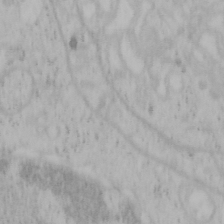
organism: Mouse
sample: OT-I killer T cells with ID8 ovarian cancer cells